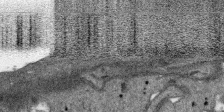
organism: Human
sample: Lung epithelial cells, uninfected (mock) control